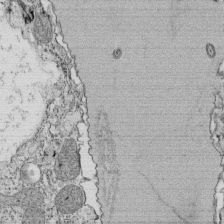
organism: Tetrahymena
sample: Cilia in tetrahymena